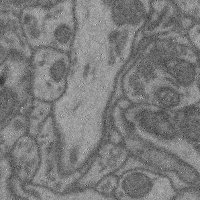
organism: Mouse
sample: Cerebral cortex